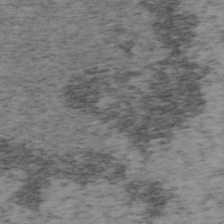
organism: Mouse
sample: OT-I killer T cells with ID8 ovarian cancer cells